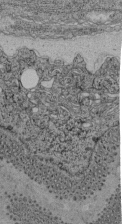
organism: C. elegans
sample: C. elegans pharynx